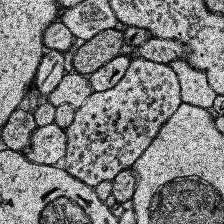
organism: Human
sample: Temporal Lobe